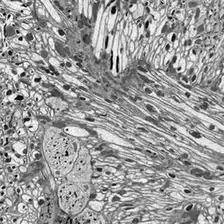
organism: Drosophila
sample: Optic lobe